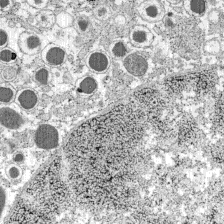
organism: C57BL Mouse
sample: Pancreatic islet